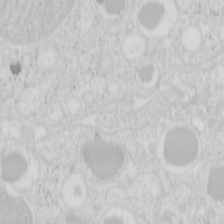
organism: Mouse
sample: Pancreas